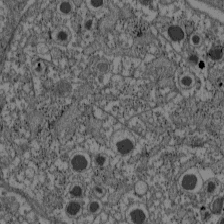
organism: C57BL Mouse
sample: Pancreatic islet